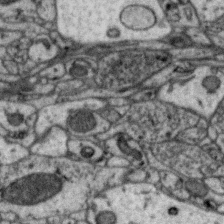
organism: Zebra finch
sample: Brain